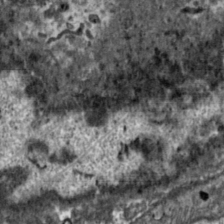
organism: Toxoplasma gondii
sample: Parasites in a vacuole inside a host cell